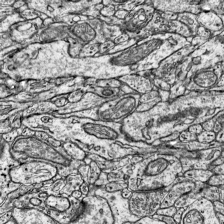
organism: Mouse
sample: Visual Cortex